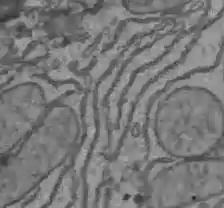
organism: C57BL Mouse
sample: Liver